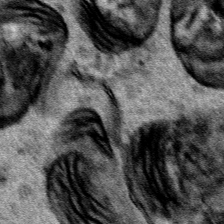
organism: Human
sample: Mitochondria in HCT116 cells